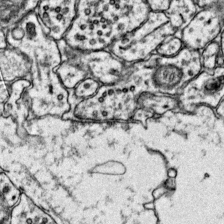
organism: Mouse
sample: Primary visual cortex